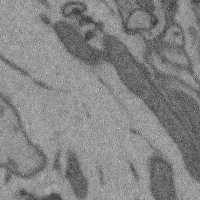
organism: Mouse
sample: Cerebral cortex